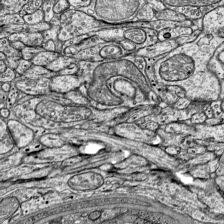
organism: Mouse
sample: Visual Cortex